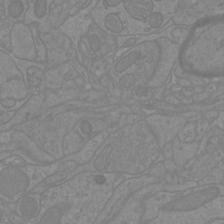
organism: Mouse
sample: Cortical neurons